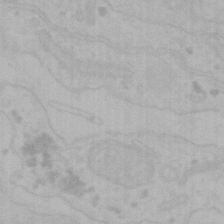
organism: Mouse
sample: Choroid plexus